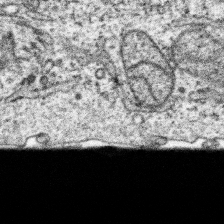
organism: Human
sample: HeLa cells